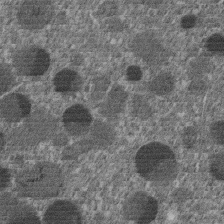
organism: C. elegans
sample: C. elegans embryo early stage